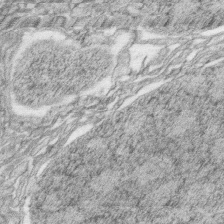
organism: Zebrafish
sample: synaptic ribbons in rod cells and cone cells